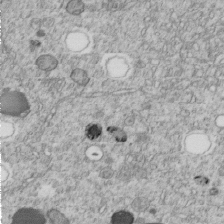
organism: C. elegans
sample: C. elegans embryo early stage